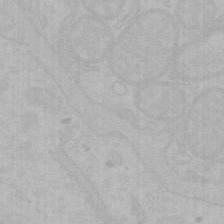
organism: Mouse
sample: Choroid plexus